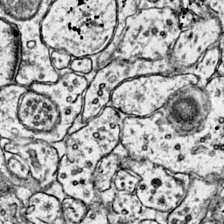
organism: Mouse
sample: Primary visual cortex